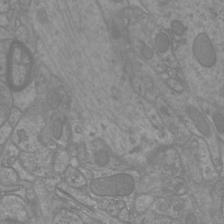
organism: Mouse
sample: Cortical neurons